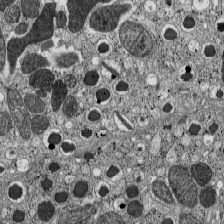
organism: C57BL Mouse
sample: Pancreatic islet